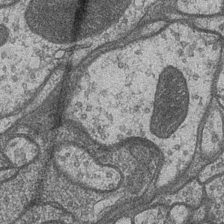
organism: Drosophila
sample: Optic medulla